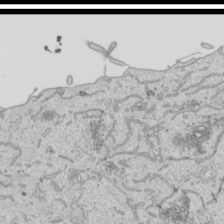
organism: Human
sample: Mitochondria in HCT116 cells